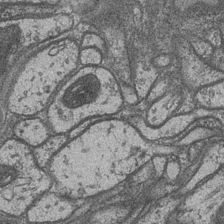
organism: Drosophila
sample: Optic medulla